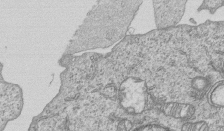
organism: Human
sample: MDA-MB-231 cells